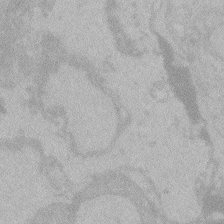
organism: Zebrafish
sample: Macrophage infected with Toxoplasma gondii